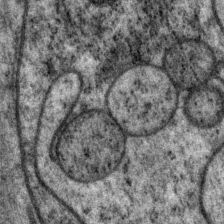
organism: P. pacificus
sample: Pharynx